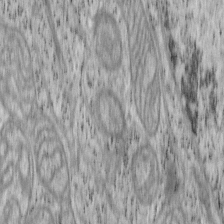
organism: Human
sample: HeLa cells